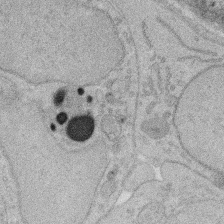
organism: Rat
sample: Salivary granule